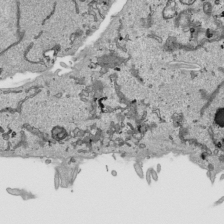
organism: Human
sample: Mitochondria in HCT116 cells